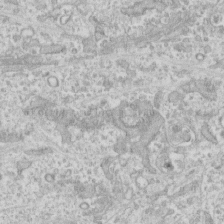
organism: Human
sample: CRL-1474